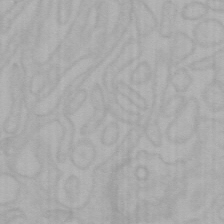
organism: Mouse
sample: Choroid plexus